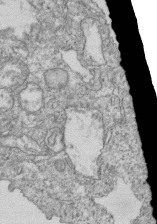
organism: Human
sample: HeLa cell HIV synapse